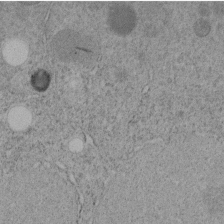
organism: C. elegans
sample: C. elegans embryo early stage